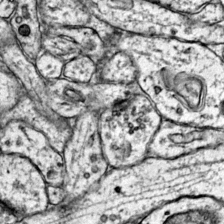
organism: Mouse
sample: Primary visual cortex